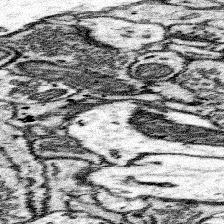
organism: Mouse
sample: Somatosensory cortex neuropil